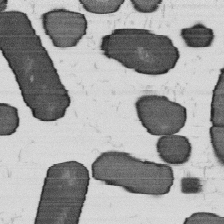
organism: B. subtilis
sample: Bacterial spore